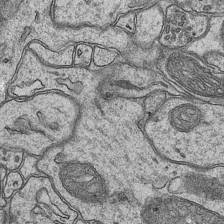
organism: Mouse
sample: CA1 Hippocampus